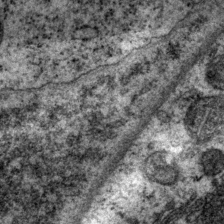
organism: P. pacificus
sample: Pharynx